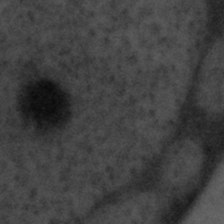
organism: Tuwongella immobilis